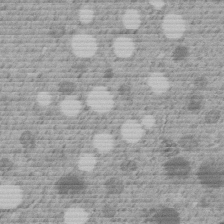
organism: C. elegans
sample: C. elegans embryo early stage